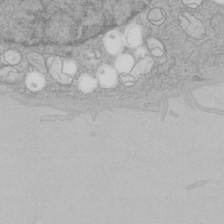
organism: Human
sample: Mitochondria in HCT116 cells